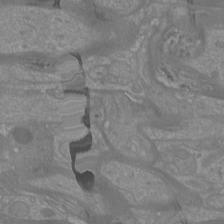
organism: Mouse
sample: Cortical neurons